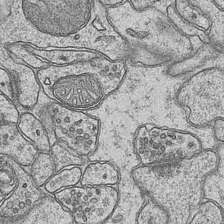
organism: Mouse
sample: CA1 Hippocampus